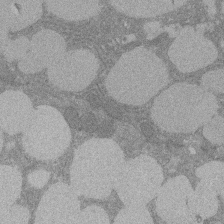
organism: Rat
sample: Salivary granule